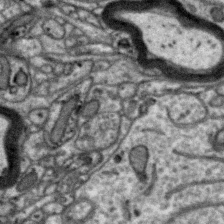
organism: Zebra finch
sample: Brain